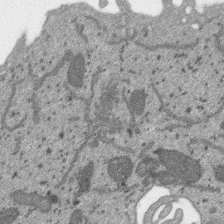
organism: Human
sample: Lung epithelial cells infected with SARS-CoV-2